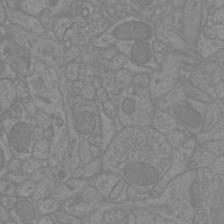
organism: Mouse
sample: Cortical neurons